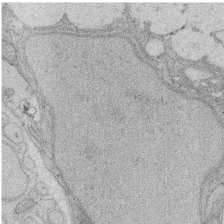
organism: Rat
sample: Salivary granule